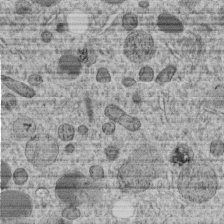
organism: C. elegans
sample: C. elegans embryo early stage